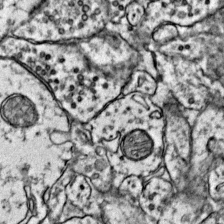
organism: Mouse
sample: Primary visual cortex